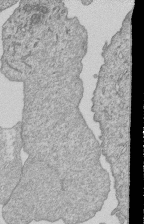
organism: Human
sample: MDA-MB-231 cells